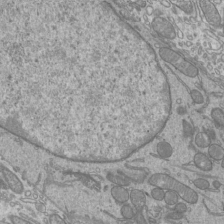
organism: Mouse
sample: Cilia; mouse epididymis